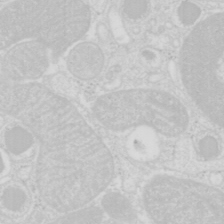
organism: Mouse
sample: Pancreas